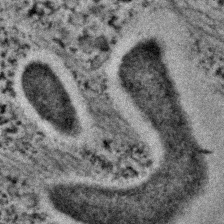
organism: C. elegans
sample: C. elegans embryo